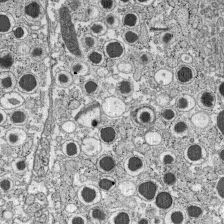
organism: C57BL Mouse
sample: Pancreatic islet